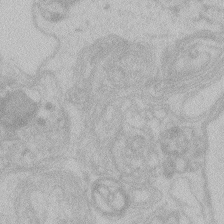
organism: Zebrafish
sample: Macrophage infected with Toxoplasma gondii